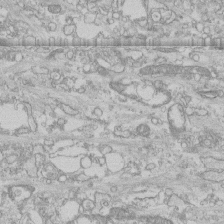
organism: Human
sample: CRL-1474